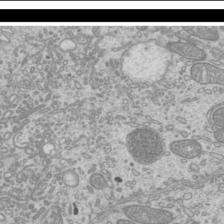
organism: Mouse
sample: Cilia; mouse epididymis